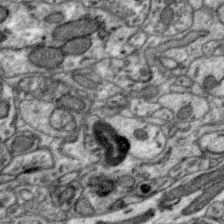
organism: Zebra finch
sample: Brain